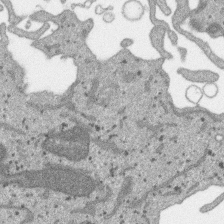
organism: Human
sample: Lung epithelial cells infected with SARS-CoV-2